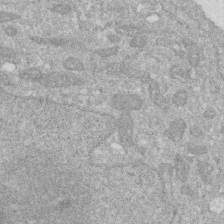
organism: Human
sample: HIV infected U937 cells